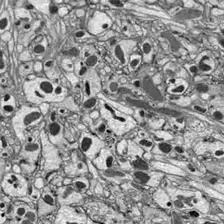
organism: Drosophila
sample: Optic lobe